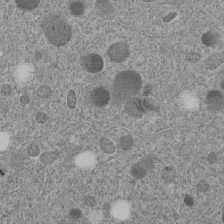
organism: C. elegans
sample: C. elegans embryo early stage